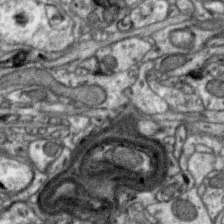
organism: Zebra finch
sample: Brain